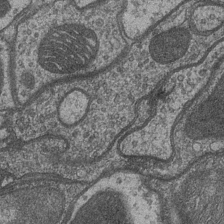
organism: Drosophila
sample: Optic medulla